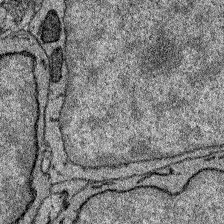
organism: Zebrafish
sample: Larval olfactory bulb